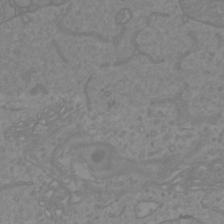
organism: Mouse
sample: Cortical neurons